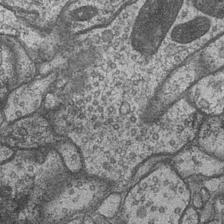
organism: Drosophila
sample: Optic medulla